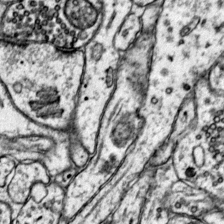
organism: Mouse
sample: Primary visual cortex